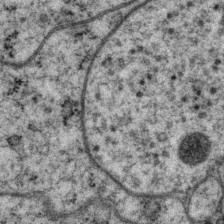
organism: P. pacificus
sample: Pharynx